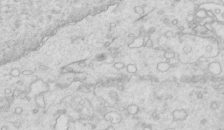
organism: Mouse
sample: Multiciliated cells